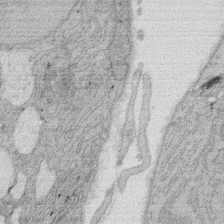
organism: Rat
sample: Salivary granule